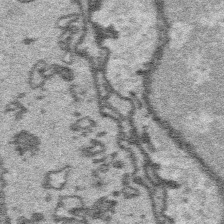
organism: Platynereis dumerilii